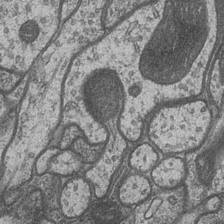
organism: Drosophila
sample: Optic medulla